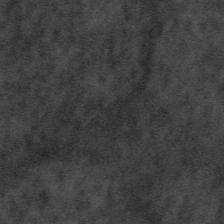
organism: Tuwongella immobilis